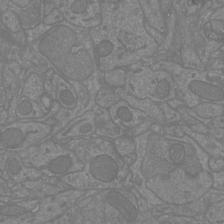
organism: Mouse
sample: Cortical neurons